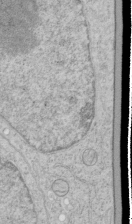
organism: Human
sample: Mitochondria in HCT116 cells